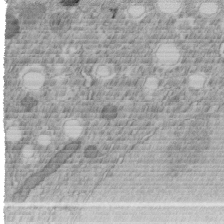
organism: C. elegans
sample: C. elegans embryo early stage